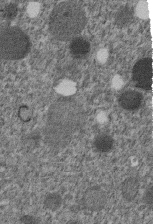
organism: C. elegans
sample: C. elegans embryo early stage